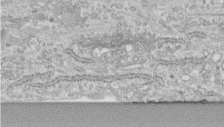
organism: Human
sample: Centriole in fibroblast cells